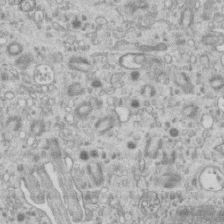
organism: Mouse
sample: Centriole in ependymal cells